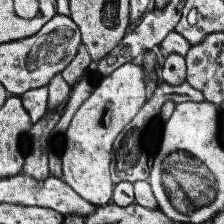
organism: Human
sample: Temporal Lobe